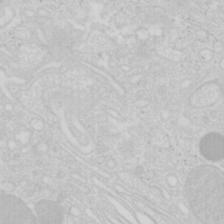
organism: Mouse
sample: Pancreas